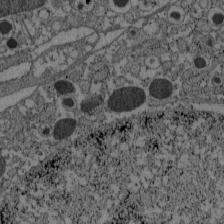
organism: C57BL Mouse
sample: Pancreatic islet